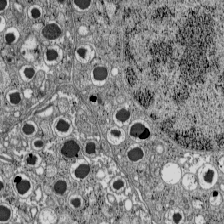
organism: C57BL Mouse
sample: Pancreatic islet